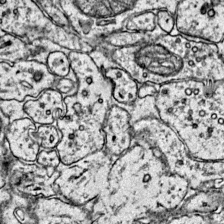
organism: Mouse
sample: Primary visual cortex